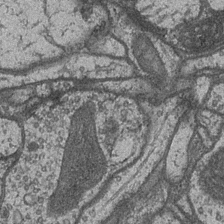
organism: Drosophila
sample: Optic medulla